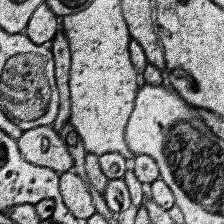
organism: Human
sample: Temporal Lobe